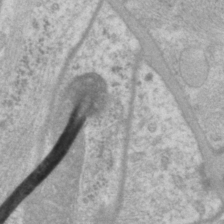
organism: P. pacificus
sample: Pharynx